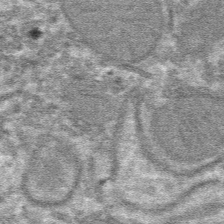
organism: Mouse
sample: Mouse hepatocytes